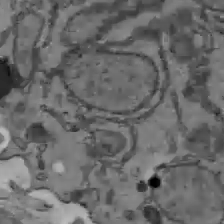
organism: C57BL Mouse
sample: Liver